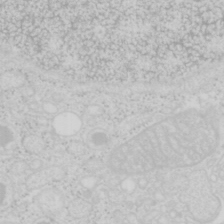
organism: Mouse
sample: Pancreas